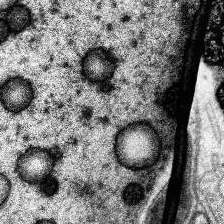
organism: Human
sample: Temporal Lobe